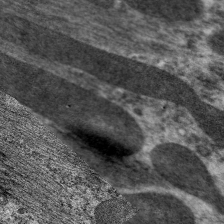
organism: C. elegans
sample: Pharynx